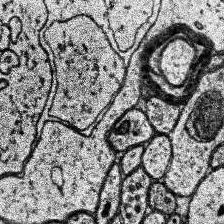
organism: Human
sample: Temporal Lobe